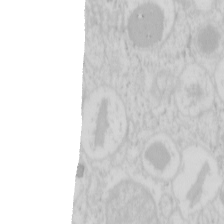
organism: Mouse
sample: Pancreas